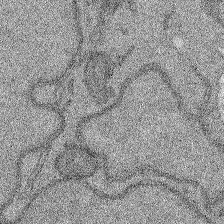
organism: Human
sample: HeLa cells